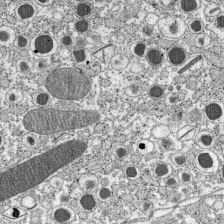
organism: C57BL Mouse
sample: Pancreatic islet